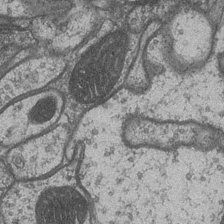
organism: Drosophila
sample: Optic medulla